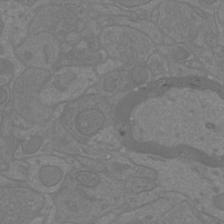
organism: Mouse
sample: Cortical neurons